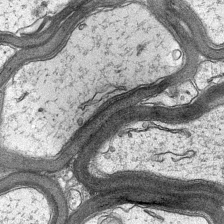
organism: Mouse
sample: CA1 Hippocampus